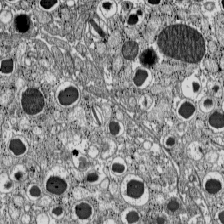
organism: C57BL Mouse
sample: Pancreatic islet